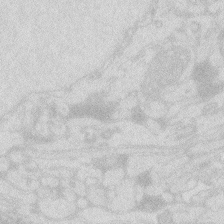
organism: Zebrafish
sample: Macrophage